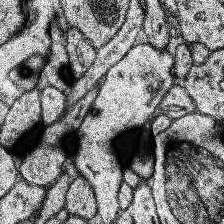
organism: Human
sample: Temporal Lobe